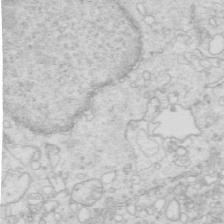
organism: Mouse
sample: Multiciliated cells